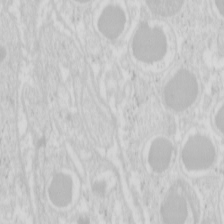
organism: Mouse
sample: Pancreas